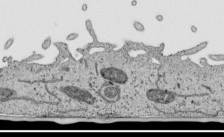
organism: Human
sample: Mitochondria in HCT116 cells